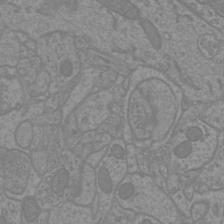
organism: Mouse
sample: Cortical neurons